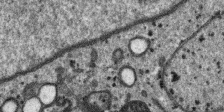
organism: Human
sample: Lung epithelial cells infected with SARS-CoV-2